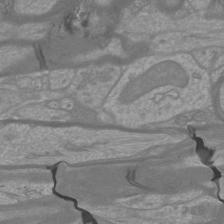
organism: Mouse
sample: Cortical neurons